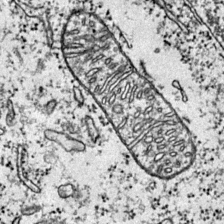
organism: Mouse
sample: Primary visual cortex